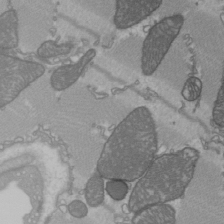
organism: C57BL Mouse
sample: Heart